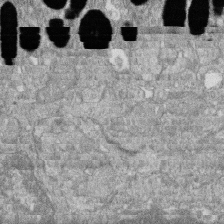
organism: Zebrafish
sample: Cilia; retinal pigment epithelium